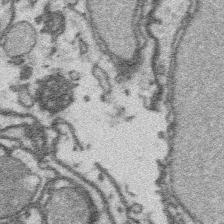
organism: Platynereis dumerilii